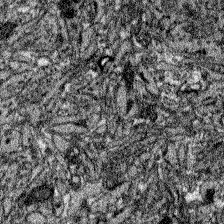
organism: Zebrafish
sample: Larval olfactory bulb